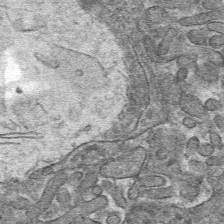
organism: Mouse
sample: Mouse hepatocytes